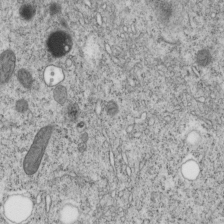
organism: C. elegans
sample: C. elegans embryo early stage